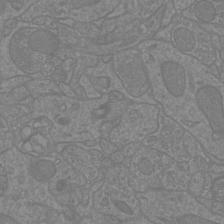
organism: Mouse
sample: Cortical neurons